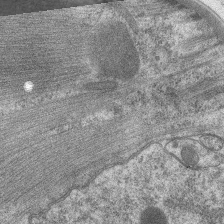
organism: C. elegans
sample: Pharynx